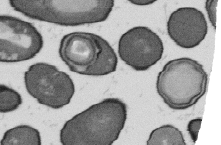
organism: B. subtilis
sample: Bacterial spore